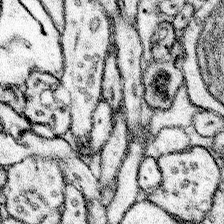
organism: Mouse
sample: Somatosensory cortex neuropil